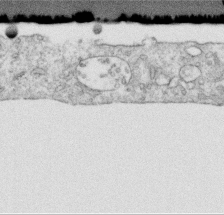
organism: Human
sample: Centriole in RPE cells